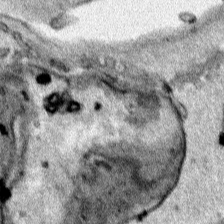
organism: Human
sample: Mitochondria in HCT116 cells